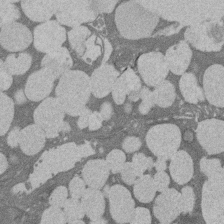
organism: Rat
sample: Salivary granule